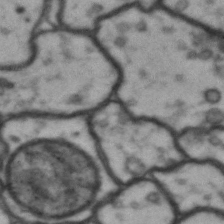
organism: Drosophila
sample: Brain